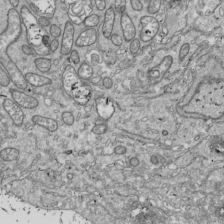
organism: Drosophila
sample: Cell division; meiosis; drosophila spermatocytes